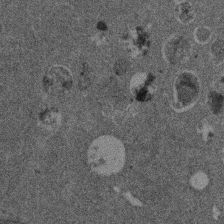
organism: Mouse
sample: Dividing mouse embryo 1 cell stage